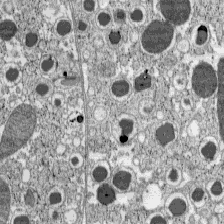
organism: C57BL Mouse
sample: Pancreatic islet